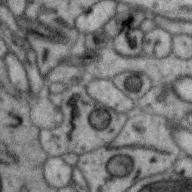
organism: Zebra finch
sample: Brain